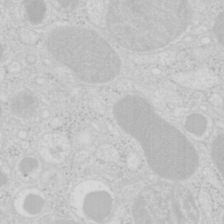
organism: Mouse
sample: Pancreas